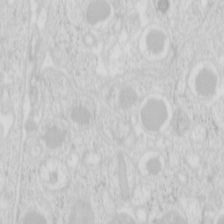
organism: Mouse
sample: Pancreas